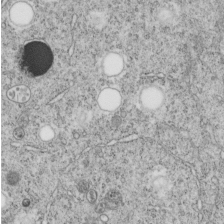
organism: C. elegans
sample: C. elegans embryo early stage